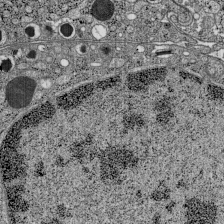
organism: C57BL Mouse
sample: Pancreatic islet